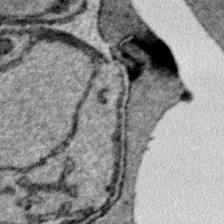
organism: Plasmodium falciparum